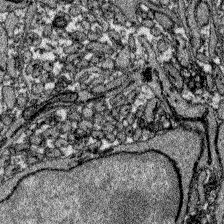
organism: Zebrafish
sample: Larval olfactory bulb